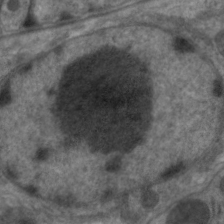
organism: C. elegans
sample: Pharynx